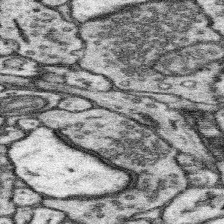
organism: Mouse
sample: Somatosensory cortex neuropil